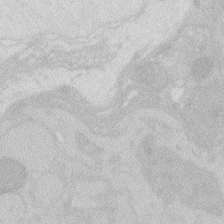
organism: Zebrafish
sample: Macrophage